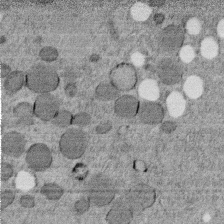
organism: C. elegans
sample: C. elegans embryo early stage